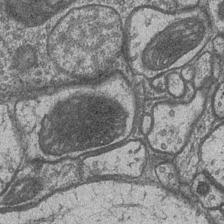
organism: Drosophila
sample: Optic medulla